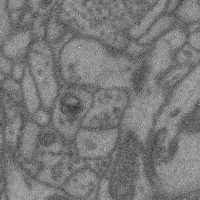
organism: Mouse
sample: Cerebral cortex